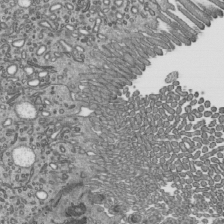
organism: Mouse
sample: Mouse epididymis efferent ductule cilia